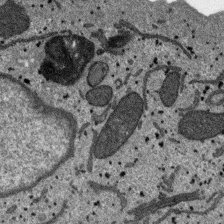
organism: Human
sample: Lung epithelial cells, uninfected (mock) control